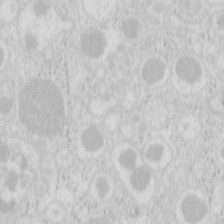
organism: Mouse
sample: Pancreas